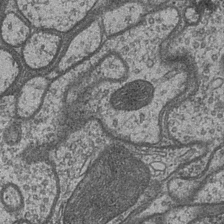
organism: Drosophila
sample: Optic medulla